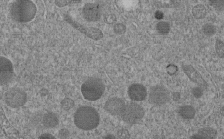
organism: C. elegans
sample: C. elegans embryo early stage